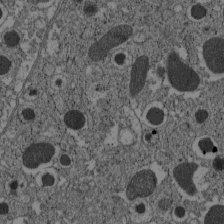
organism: C57BL Mouse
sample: Pancreatic islet